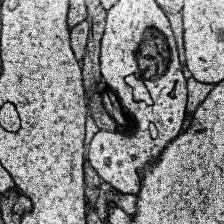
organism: Human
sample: Temporal Lobe